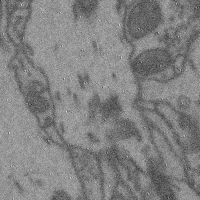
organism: Mouse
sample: Cerebral cortex